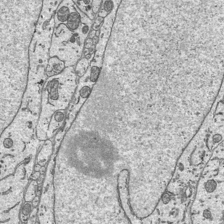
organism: Mouse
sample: Suprachiasmatic nucleus